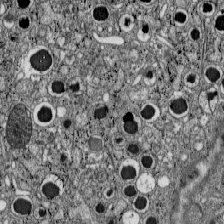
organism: C57BL Mouse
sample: Pancreatic islet